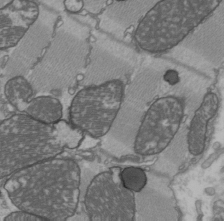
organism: C57BL Mouse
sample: Heart